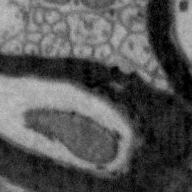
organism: Zebra finch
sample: Brain